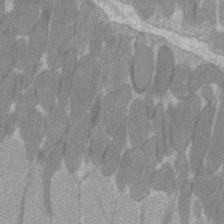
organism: C57BL Mouse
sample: Tibialis anterior muscle cell